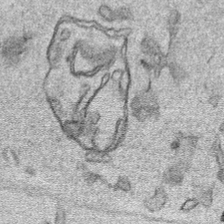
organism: Human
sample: Mitochondria in HCT116 cells